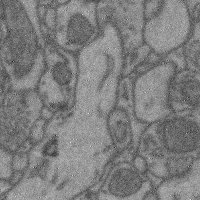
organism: Mouse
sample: Cerebral cortex